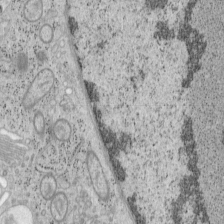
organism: Mouse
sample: OT-I killer T cells with ID8 ovarian cancer cells